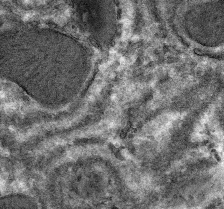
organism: Mouse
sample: Mouse hepatocytes